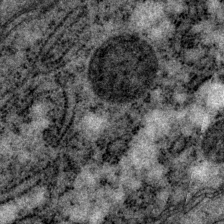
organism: P. pacificus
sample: Pharynx